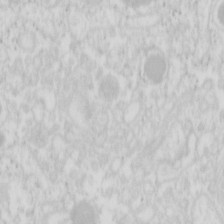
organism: Mouse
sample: Pancreas